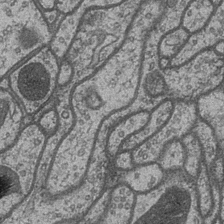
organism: Drosophila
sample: Optic medulla